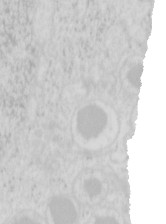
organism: Mouse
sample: Pancreas